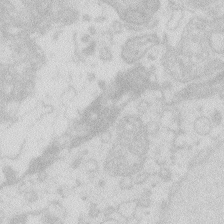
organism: Zebrafish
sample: Macrophage